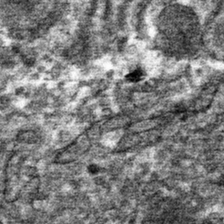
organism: Mouse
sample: Mouse hepatocytes